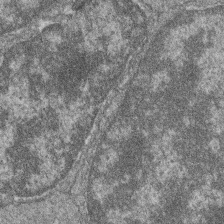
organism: Zebrafish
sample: Cilia; retinal pigment epithelium